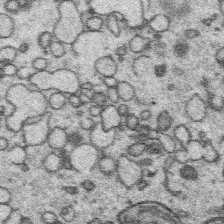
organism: Platynereis dumerilii